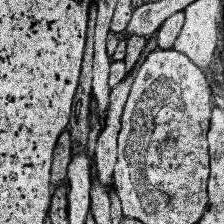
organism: Human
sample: Temporal Lobe